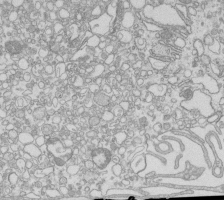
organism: Mouse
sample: Macrophages